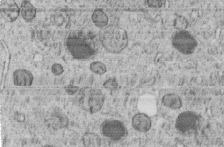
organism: C. elegans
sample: C. elegans embryo early stage